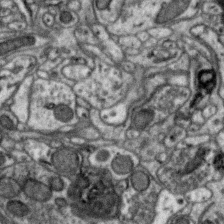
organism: Zebra finch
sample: Brain